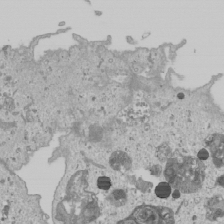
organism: Human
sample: Mitochondria in U2OS cells